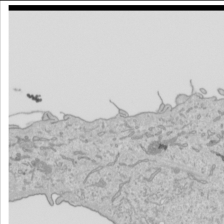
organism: Human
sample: Mitochondria in HCT116 cells